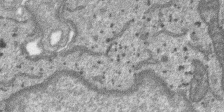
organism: Human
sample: Lung epithelial cells infected with SARS-CoV-2